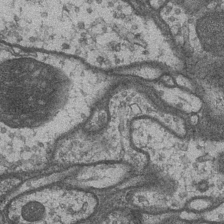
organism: Drosophila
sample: Optic medulla